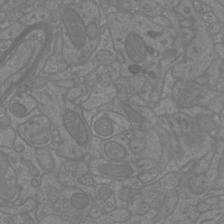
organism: Mouse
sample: Cortical neurons